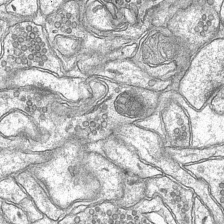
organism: Mouse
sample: CA1 Hippocampus